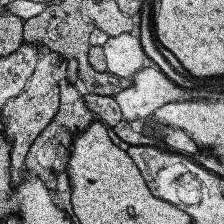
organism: Human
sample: Temporal Lobe